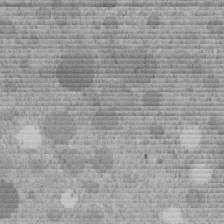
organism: C. elegans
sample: C. elegans embryo early stage